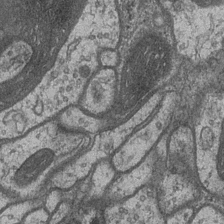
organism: Drosophila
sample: Optic medulla